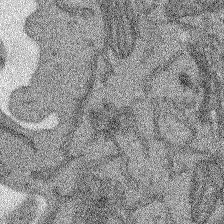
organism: Human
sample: HeLa cells